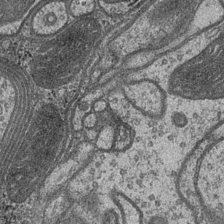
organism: Drosophila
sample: Optic medulla